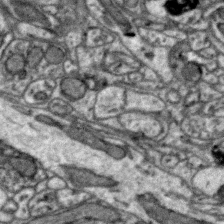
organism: Zebra finch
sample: Brain